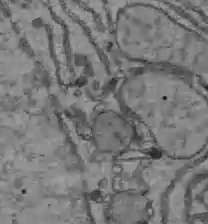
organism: C57BL Mouse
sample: Liver